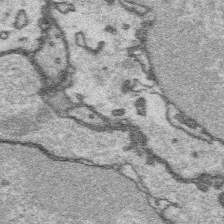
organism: Platynereis dumerilii